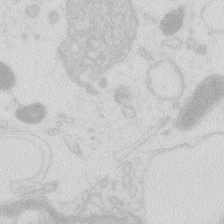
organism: Zebrafish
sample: Macrophage